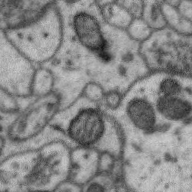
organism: Zebra finch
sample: Brain